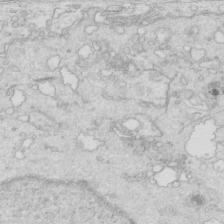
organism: Mouse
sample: Multiciliated cells